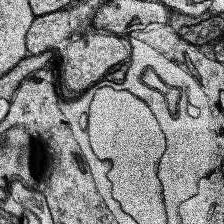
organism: Human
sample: Temporal Lobe